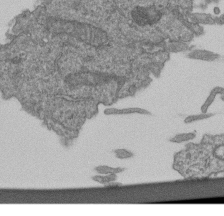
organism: Human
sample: Retinal organoid Rod and Cone cells